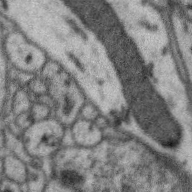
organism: Zebra finch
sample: Brain